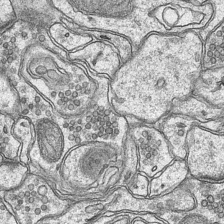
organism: Mouse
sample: CA1 Hippocampus